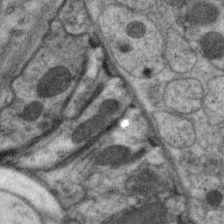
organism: C. elegans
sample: Pharynx